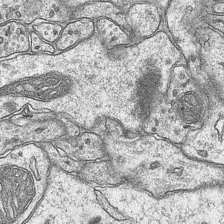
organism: Mouse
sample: CA1 Hippocampus